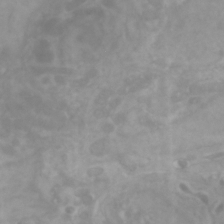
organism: Zebrafish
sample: Zebrafish embryo